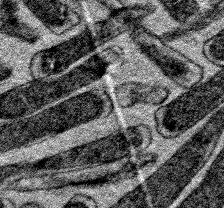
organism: E. coli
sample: E. Coli Bacteria